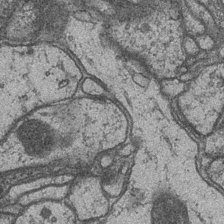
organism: Drosophila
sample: Optic medulla